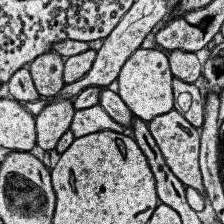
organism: Human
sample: Temporal Lobe